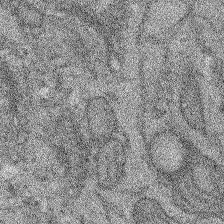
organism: Human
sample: HeLa cells